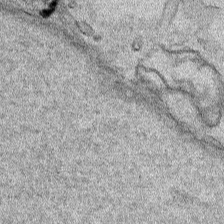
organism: Human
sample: Mitochondria in HCT116 cells